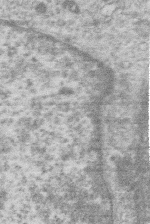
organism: Human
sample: Macrophage cells